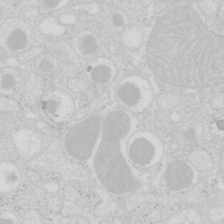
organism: Mouse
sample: Pancreas